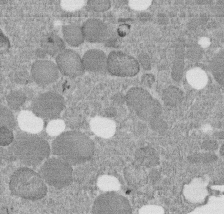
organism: C. elegans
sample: C. elegans embryo early stage